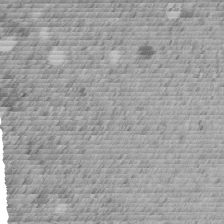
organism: C. elegans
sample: C. elegans embryo early stage